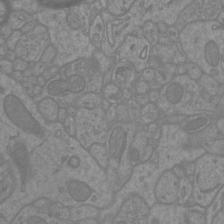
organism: Mouse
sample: Cortical neurons